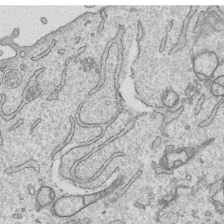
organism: Human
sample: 1205lu cells